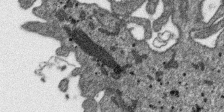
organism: Human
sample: Lung epithelial cells infected with SARS-CoV-2